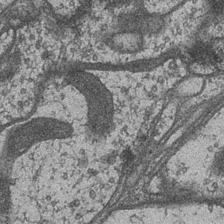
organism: Drosophila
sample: Optic medulla